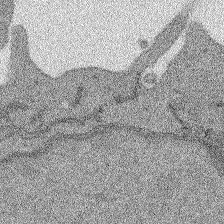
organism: Human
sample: HeLa cells